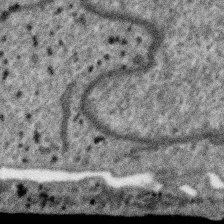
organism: Human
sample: Lung epithelial cells infected with SARS-CoV-2